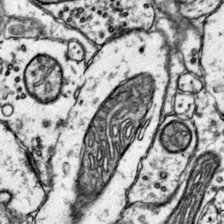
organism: Mouse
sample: Primary visual cortex